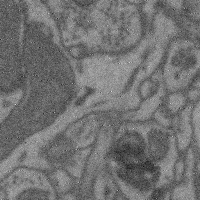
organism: Mouse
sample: Cerebral cortex